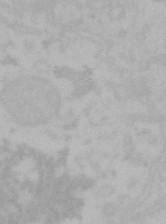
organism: Mouse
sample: Choroid plexus